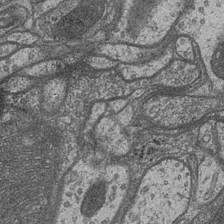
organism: Drosophila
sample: Optic medulla